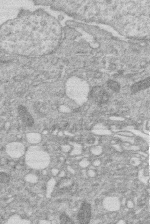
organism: Human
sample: Macrophage cells